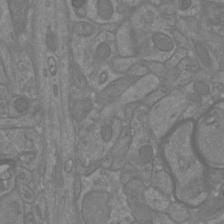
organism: Mouse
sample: Cortical neurons